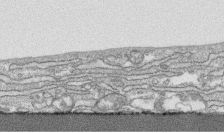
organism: Human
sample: CRL-1474